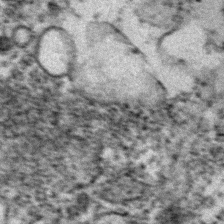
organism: Zebrafish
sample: Zebrafish embryo